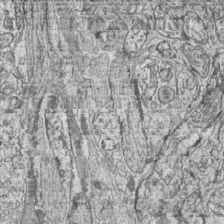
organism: Zebrafish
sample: synaptic ribbons in rod cells and cone cells